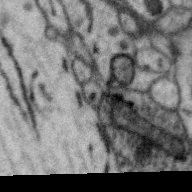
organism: Zebra finch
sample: Brain